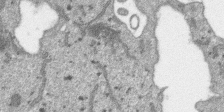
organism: Human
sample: Lung epithelial cells infected with SARS-CoV-2